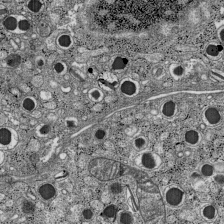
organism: C57BL Mouse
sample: Pancreatic islet